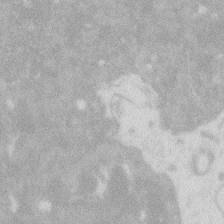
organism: Zebrafish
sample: Macrophage